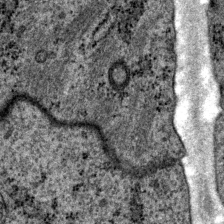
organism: P. pacificus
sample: Pharynx